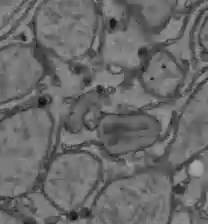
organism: C57BL Mouse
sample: Liver